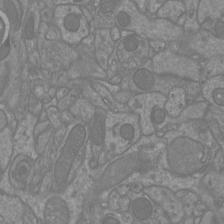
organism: Mouse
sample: Cortical neurons